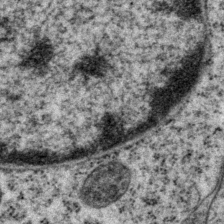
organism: P. pacificus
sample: Pharynx